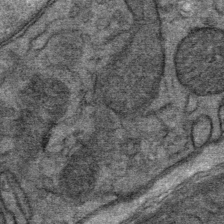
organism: Mouse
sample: Mouse Salivary gland